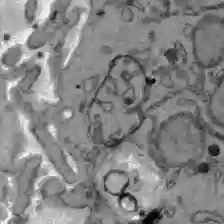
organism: C57BL Mouse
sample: Liver